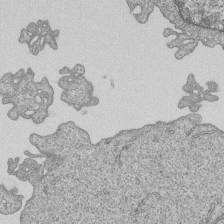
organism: Human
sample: MDA-MB-231 cells